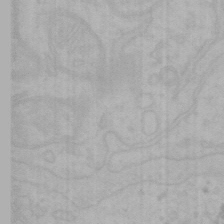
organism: Mouse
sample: Choroid plexus